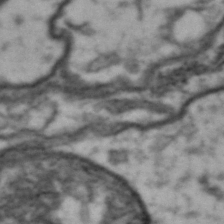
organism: Drosophila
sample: Brain